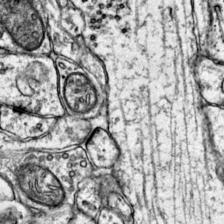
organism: Mouse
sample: Primary visual cortex